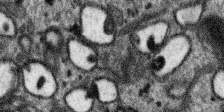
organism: Human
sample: Lung epithelial cells infected with SARS-CoV-2